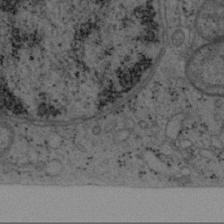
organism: Human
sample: HeLa cells